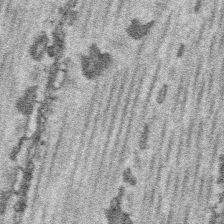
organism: Platynereis dumerilii